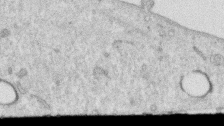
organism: Human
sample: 1205lu cells